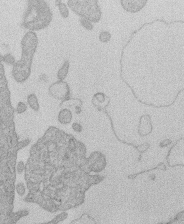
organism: Human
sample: Macrophage cells